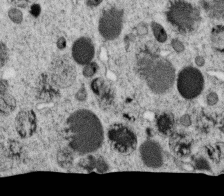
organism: C. elegans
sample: C. elegans oocyte; sperm cells